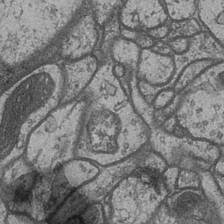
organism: Drosophila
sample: Optic medulla